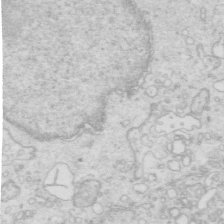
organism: Mouse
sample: Multiciliated cells